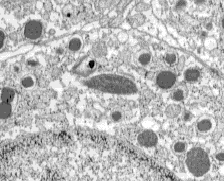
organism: C57BL Mouse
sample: Pancreatic islet